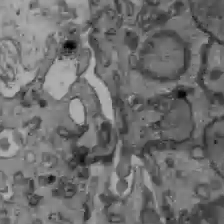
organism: C57BL Mouse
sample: Liver